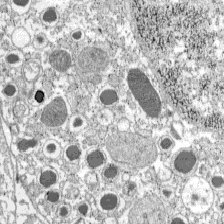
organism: C57BL Mouse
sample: Pancreatic islet